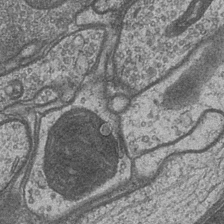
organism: Drosophila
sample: Optic medulla